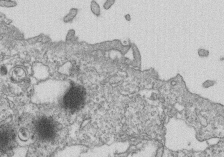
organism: Human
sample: HeLa cell HIV synapse